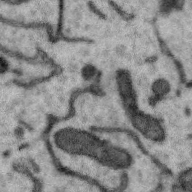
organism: Zebra finch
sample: Brain